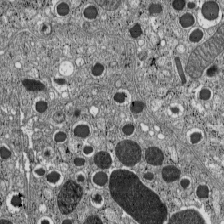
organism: C57BL Mouse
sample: Pancreatic islet